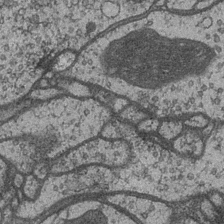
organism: Drosophila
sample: Optic medulla